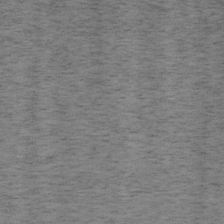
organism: Mouse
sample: OT-I killer T cells with ID8 ovarian cancer cells